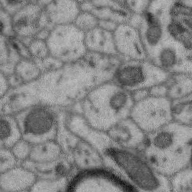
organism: Zebra finch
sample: Brain